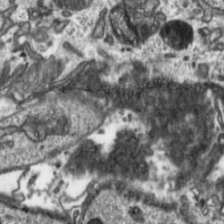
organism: Toxoplasma gondii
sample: Parasites in a vacuole inside a host cell